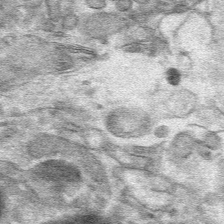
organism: Mouse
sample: Mouse hepatocytes